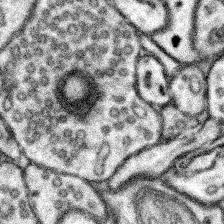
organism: Mouse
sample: Somatosensory cortex neuropil